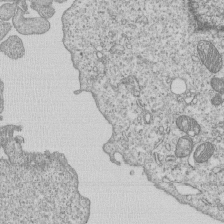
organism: Human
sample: MDA-MB-231 cells